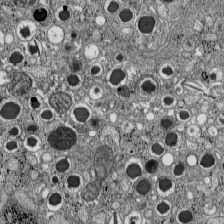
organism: C57BL Mouse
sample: Pancreatic islet